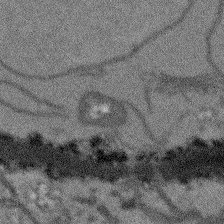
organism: Arabidopsis thaliana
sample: Root tip